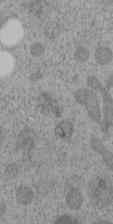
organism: C. elegans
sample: C. elegans embryo early stage